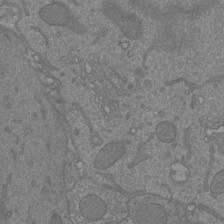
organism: Mouse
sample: Cortical neurons